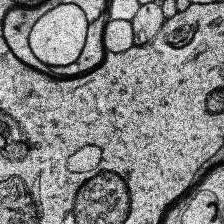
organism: Human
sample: Temporal Lobe